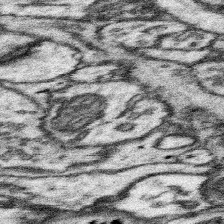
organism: Mouse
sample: Somatosensory cortex neuropil